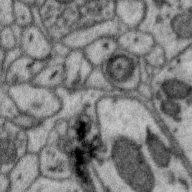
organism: Zebra finch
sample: Brain